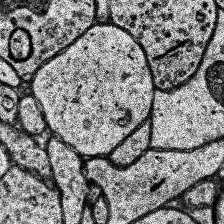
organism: Human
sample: Temporal Lobe